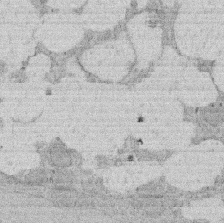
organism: Rat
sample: Salivary granule